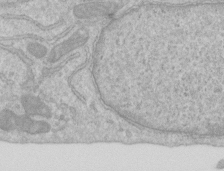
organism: Human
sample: Centriole in RPE cells